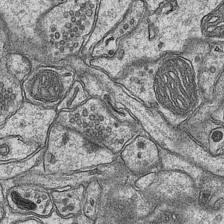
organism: Mouse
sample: CA1 Hippocampus